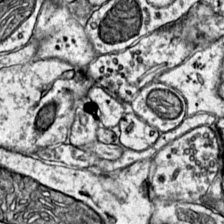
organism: Mouse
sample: Primary visual cortex